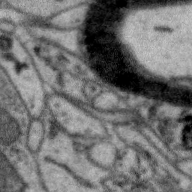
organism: Zebra finch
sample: Brain